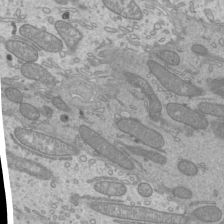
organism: Mouse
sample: Cilia; mouse epididymis